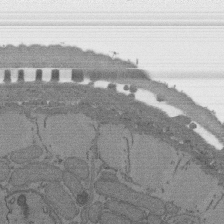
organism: C. elegans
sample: AFD neurons C. elegans